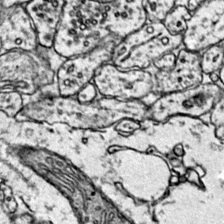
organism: Mouse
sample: Primary visual cortex